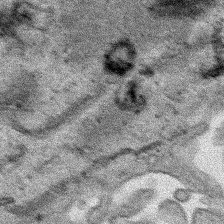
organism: Human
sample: Mitochondria in HCT116 cells